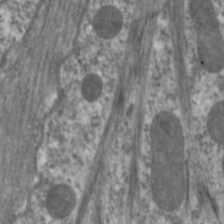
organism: C. elegans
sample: Pharynx